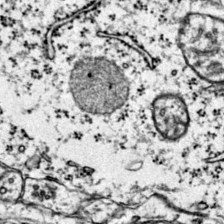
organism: Mouse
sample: Primary visual cortex